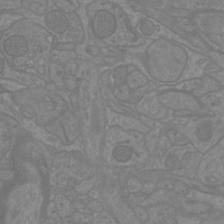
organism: Mouse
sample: Cortical neurons